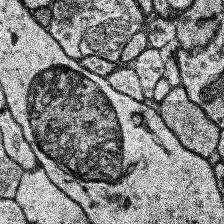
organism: Human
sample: Temporal Lobe